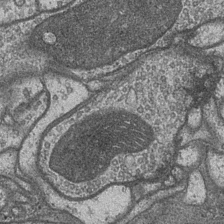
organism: Drosophila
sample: Optic medulla